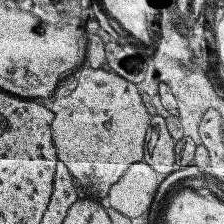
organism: Human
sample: Temporal Lobe